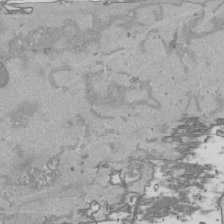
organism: Human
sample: Mitochondria in HCT116 cells